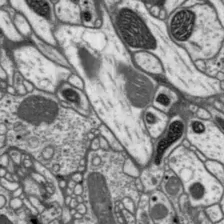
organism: Drosophila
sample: Protocerebral bridge